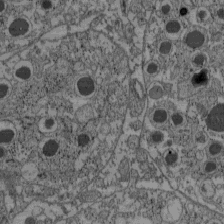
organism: C57BL Mouse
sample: Pancreatic islet